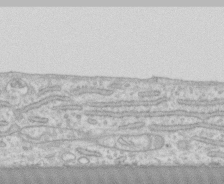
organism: Human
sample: CRL-1474